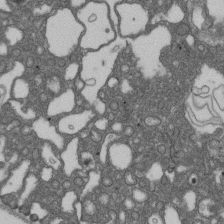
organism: Drosophila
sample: Nephrocyte